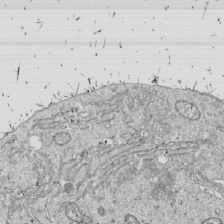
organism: Drosophila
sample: Cell division; meiosis; drosophila spermatocytes